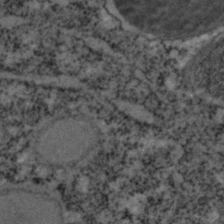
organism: C. elegans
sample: C. elegans embryo